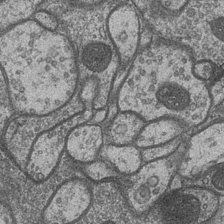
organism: Drosophila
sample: Optic medulla